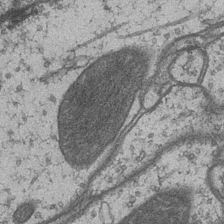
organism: Drosophila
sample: Optic medulla